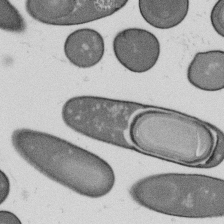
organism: B. subtilis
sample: Bacterial spore